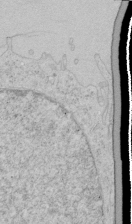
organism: Human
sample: Mitochondria in HCT116 cells